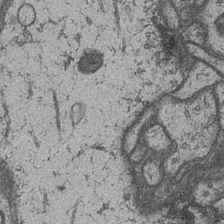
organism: Drosophila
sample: Optic medulla